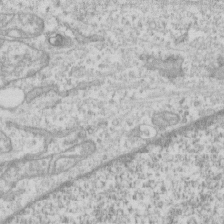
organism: Human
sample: CRL-1474